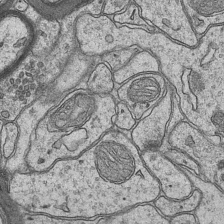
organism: Mouse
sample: CA1 Hippocampus